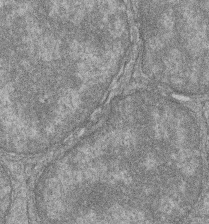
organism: Zebrafish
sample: Cilia; retinal pigment epithelium